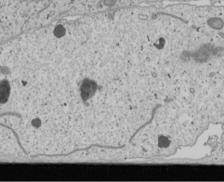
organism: Human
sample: Mitochondria in U2OS cells